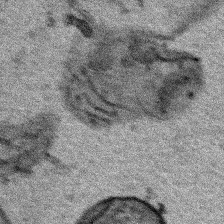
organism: Human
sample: Mitochondria in HCT116 cells